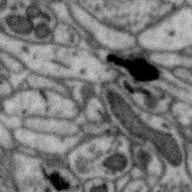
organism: Zebra finch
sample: Brain